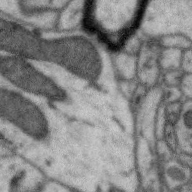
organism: Zebra finch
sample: Brain